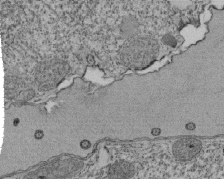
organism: Tetrahymena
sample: Cilia in tetrahymena